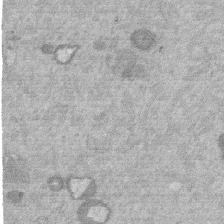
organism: Mouse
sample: Dividing mouse embryo 1 cell stage